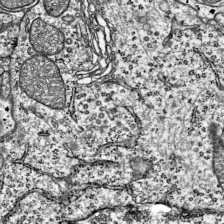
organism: Mouse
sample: Visual Cortex